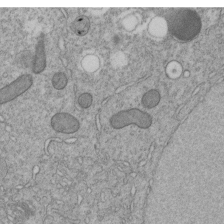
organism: C. elegans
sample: C. elegans embryo early stage